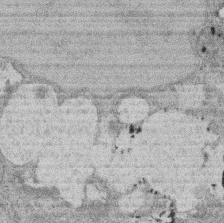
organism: Rat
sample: Salivary granule